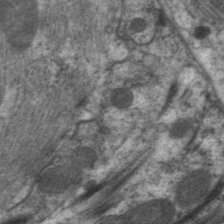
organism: C. elegans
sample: Pharynx